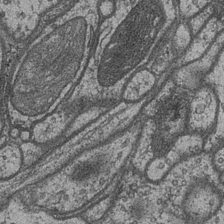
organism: Drosophila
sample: Optic medulla